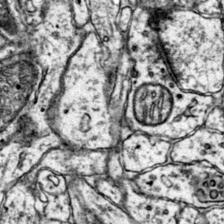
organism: Mouse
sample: Primary visual cortex